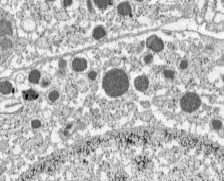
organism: C57BL Mouse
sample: Pancreatic islet